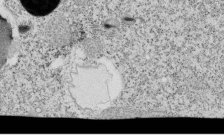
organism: Tetrahymena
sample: Cilia in tetrahymena